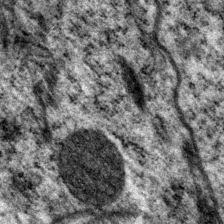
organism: P. pacificus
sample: Pharynx